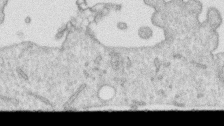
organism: Human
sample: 1205lu cells